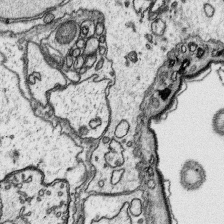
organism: Platynereis dumerilii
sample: Parapodia